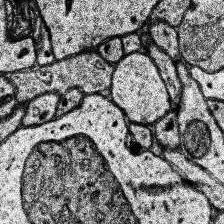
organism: Human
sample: Temporal Lobe